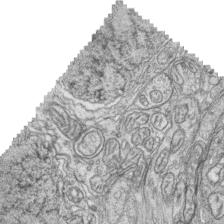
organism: Zebrafish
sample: synaptic ribbons in rod cells and cone cells